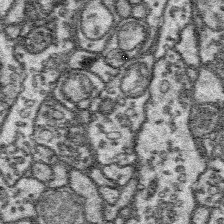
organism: Platynereis dumerilii